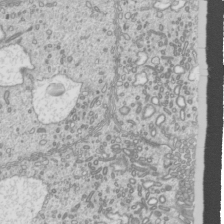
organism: Mouse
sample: Cilia; mouse epididymis